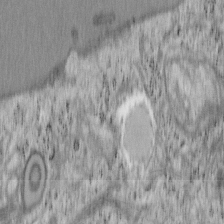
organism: Human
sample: HeLa cells